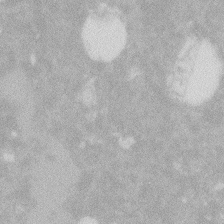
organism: Zebrafish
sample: Macrophage